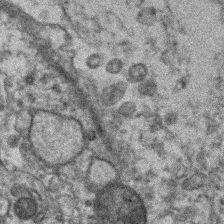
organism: Human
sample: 1205lu cells